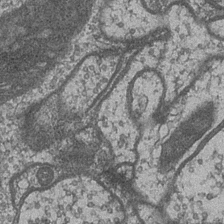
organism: Drosophila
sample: Optic medulla